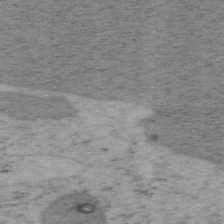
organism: Mouse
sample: OT-I killer T cells with ID8 ovarian cancer cells